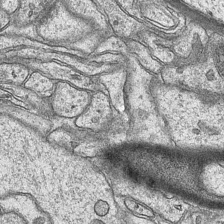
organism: Mouse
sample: CA1 Hippocampus